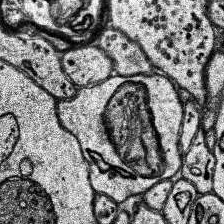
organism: Human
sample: Temporal Lobe